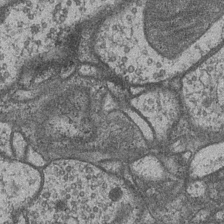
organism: Drosophila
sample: Optic medulla